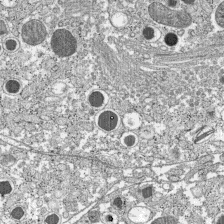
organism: C57BL Mouse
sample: Pancreatic islet